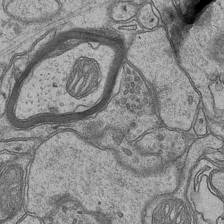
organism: Mouse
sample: CA1 Hippocampus